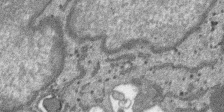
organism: Human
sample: Lung epithelial cells infected with SARS-CoV-2